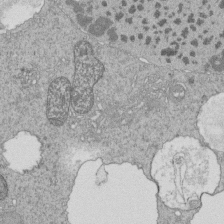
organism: Tetrahymena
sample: Cilia in tetrahymena